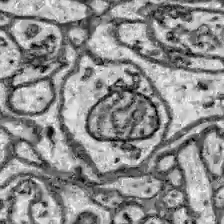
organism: Zebrafish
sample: Brain